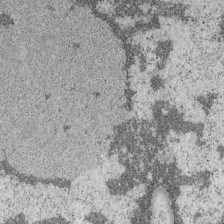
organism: Mouse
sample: OT-I killer T cells with ID8 ovarian cancer cells